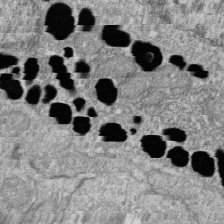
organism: Zebrafish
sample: Cilia; retinal pigment epithelium